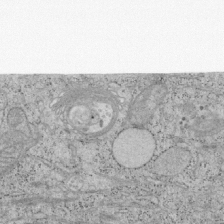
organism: Human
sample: HeLa cells